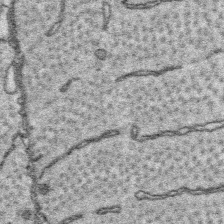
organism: Platynereis dumerilii